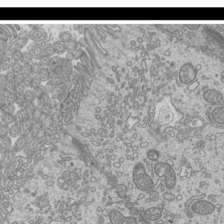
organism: Mouse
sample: Cilia; mouse epididymis